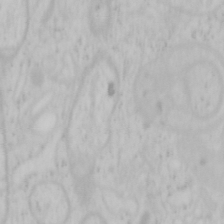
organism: Mouse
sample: OT-I killer T cells with ID8 ovarian cancer cells